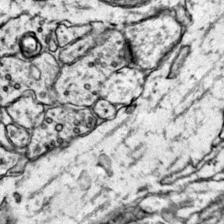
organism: Mouse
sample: Primary visual cortex